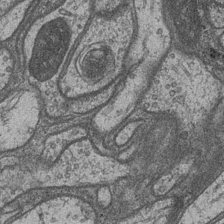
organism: Drosophila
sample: Optic medulla